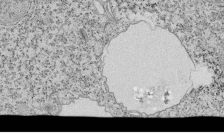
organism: Tetrahymena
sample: Cilia in tetrahymena